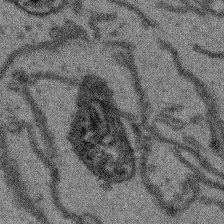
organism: Arabidopsis thaliana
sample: Root tip